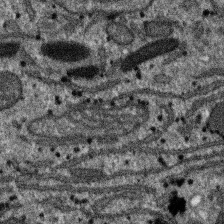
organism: Human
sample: Lung epithelial cells infected with SARS-CoV-2